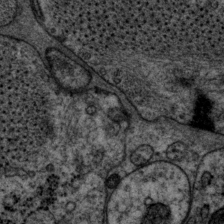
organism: P. pacificus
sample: Pharynx